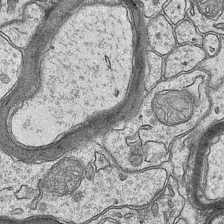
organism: Mouse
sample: CA1 Hippocampus